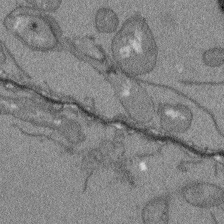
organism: Arabidopsis thaliana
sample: Root tip